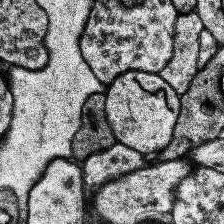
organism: Human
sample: Temporal Lobe